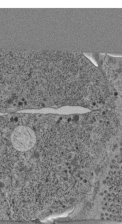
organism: C. elegans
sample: C. elegans pharynx